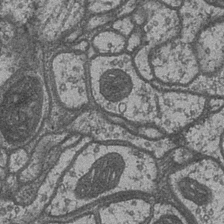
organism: Drosophila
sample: Optic medulla